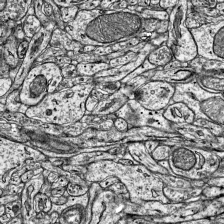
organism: Mouse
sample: Visual Cortex